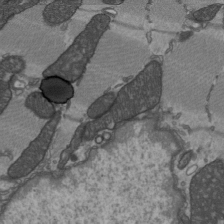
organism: C57BL Mouse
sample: Heart